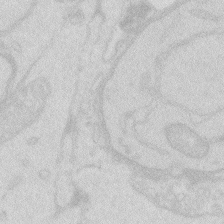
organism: Zebrafish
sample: Macrophage